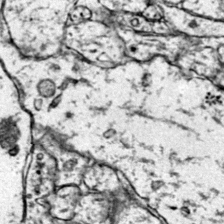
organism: Mouse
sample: Primary visual cortex